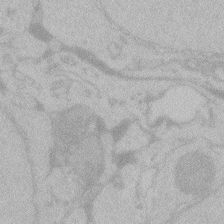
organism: Zebrafish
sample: Macrophage infected with Toxoplasma gondii